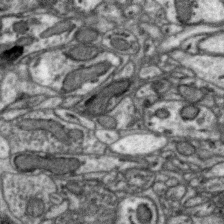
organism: Zebra finch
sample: Brain